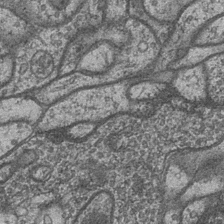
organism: Drosophila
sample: Optic medulla